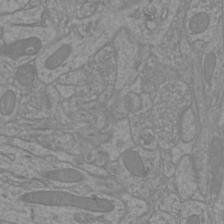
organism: Mouse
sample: Cortical neurons